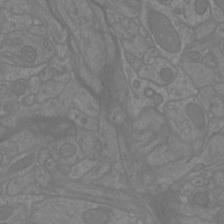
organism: Mouse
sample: Cortical neurons